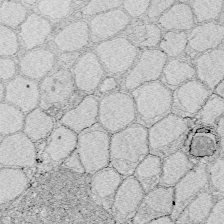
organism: Zebrafish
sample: Whole-Brain